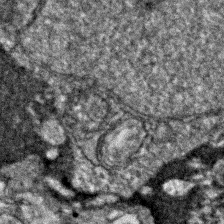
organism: Zebrafish